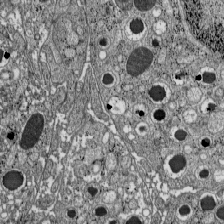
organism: C57BL Mouse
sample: Pancreatic islet